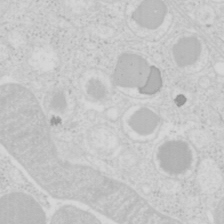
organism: Mouse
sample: Pancreas